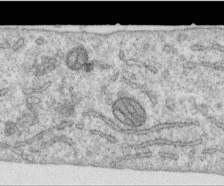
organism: Human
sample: Centriole in RPE cells